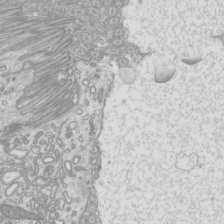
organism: Mouse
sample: Cilia; mouse epididymis